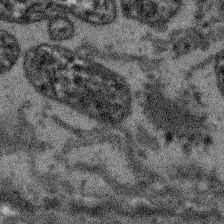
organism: Arabidopsis thaliana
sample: Root tip